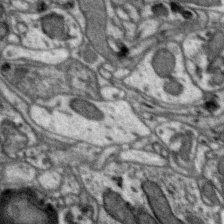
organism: Zebra finch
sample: Brain